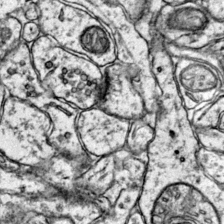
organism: Mouse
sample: Primary visual cortex